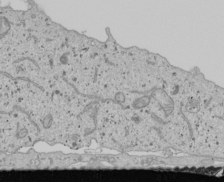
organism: Human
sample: Mitochondria in U2OS cells